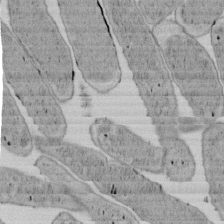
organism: E. coli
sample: Bacterial nucleoid